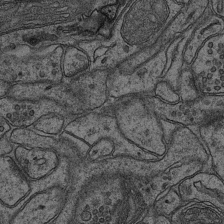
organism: Mouse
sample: CA1 Hippocampus